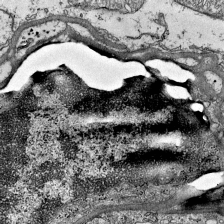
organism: Mouse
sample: Visual Cortex